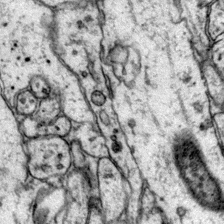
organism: Mouse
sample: Primary visual cortex